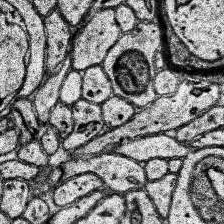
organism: Human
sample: Temporal Lobe